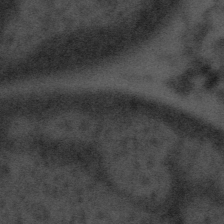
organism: Tuwongella immobilis